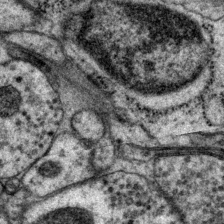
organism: P. pacificus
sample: Pharynx